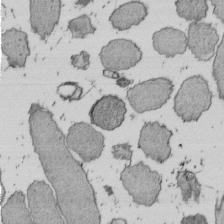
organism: E. coli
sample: Bacterial nucleoid